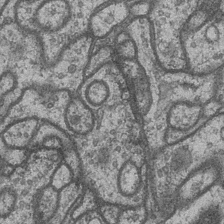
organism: Drosophila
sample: Optic medulla